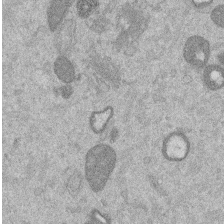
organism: Mouse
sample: Dividing mouse embryo 1 cell stage